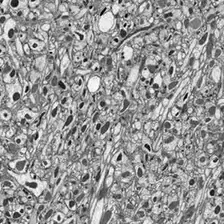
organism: Drosophila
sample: Optic lobe